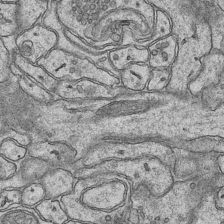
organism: Mouse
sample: CA1 Hippocampus